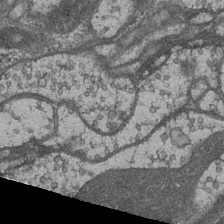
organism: Drosophila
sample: Optic medulla